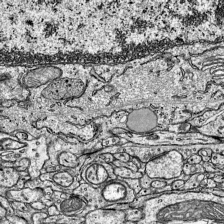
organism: Mouse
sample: Visual Cortex